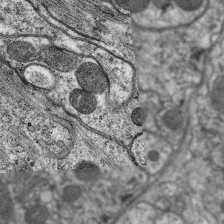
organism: C. elegans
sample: Pharynx